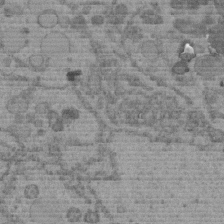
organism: C. elegans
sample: C. elegans embryo early stage